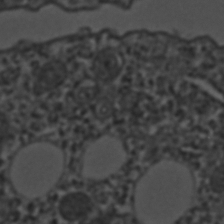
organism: C. elegans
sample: C. elegans embryo